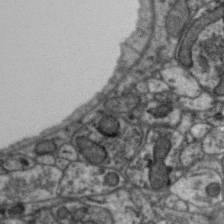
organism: Zebra finch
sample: Brain